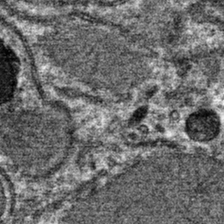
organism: Mouse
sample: Mouse hepatocytes